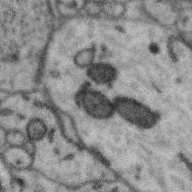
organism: Zebra finch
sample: Brain